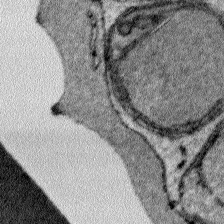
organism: Plasmodium falciparum